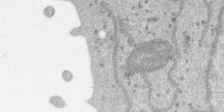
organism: Human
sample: Lung epithelial cells infected with SARS-CoV-2